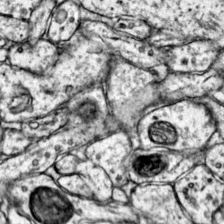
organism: Mouse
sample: Primary visual cortex